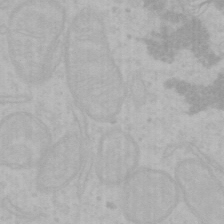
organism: Mouse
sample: Choroid plexus